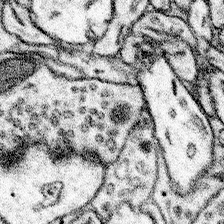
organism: Mouse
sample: Somatosensory cortex neuropil